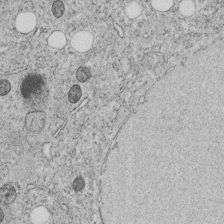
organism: C. elegans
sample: C. elegans embryo early stage